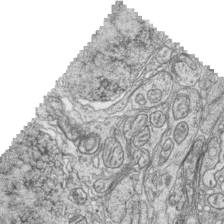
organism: Zebrafish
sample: synaptic ribbons in rod cells and cone cells